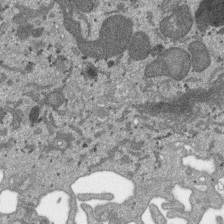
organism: Human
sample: Lung epithelial cells infected with SARS-CoV-2